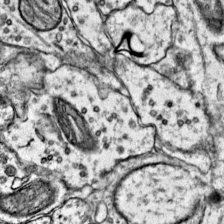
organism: Mouse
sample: Primary visual cortex